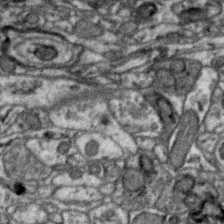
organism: Zebra finch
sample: Brain